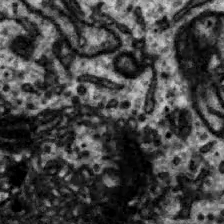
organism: Human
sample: HeLa cells